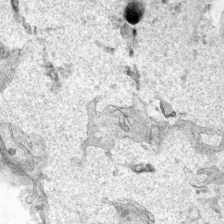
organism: Human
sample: Mitochondria in HCT116 cells